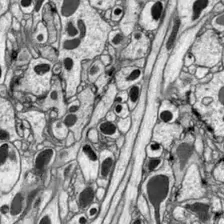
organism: Drosophila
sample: Optic lobe